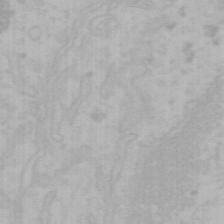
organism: Mouse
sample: Choroid plexus